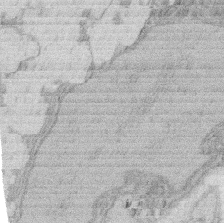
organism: Rat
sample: Salivary granule